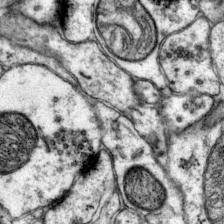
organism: Mouse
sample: Primary visual cortex